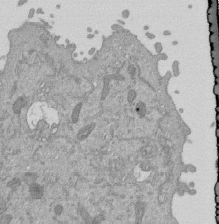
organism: Mouse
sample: ED-1 cell nuclei; centrioles